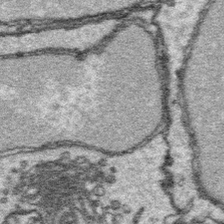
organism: Platynereis dumerilii